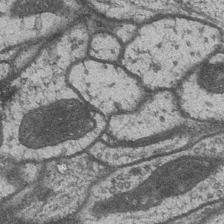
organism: Drosophila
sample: Optic medulla